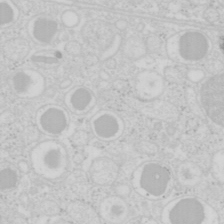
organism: Mouse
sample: Pancreas